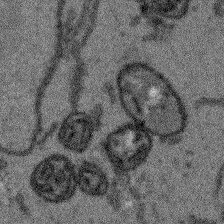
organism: Arabidopsis thaliana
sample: Root tip